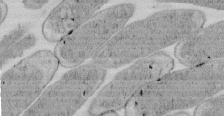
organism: E. coli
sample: Bacterial nucleoid